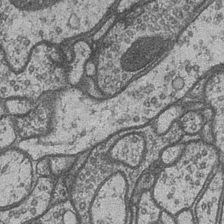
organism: Drosophila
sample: Optic medulla